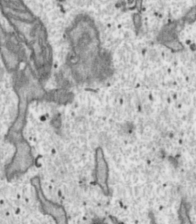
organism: Toxoplasma gondii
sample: Parasites in a vacuole inside a host cell